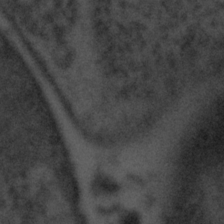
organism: Tuwongella immobilis